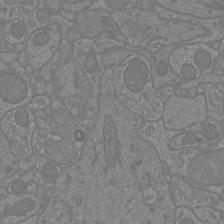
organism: Mouse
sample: Cortical neurons